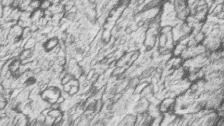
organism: Zebrafish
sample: synaptic ribbons in rod cells and cone cells